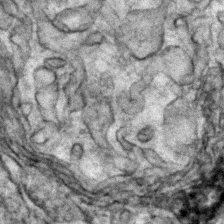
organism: Zebrafish